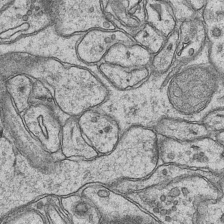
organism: Mouse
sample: CA1 Hippocampus